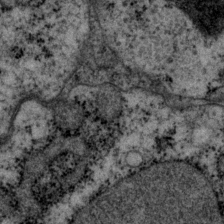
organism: P. pacificus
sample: Pharynx